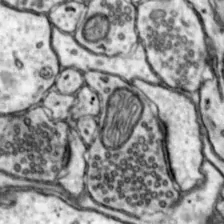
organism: Mouse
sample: Nucleus accumbens